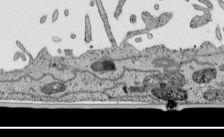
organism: Human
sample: Mitochondria in HCT116 cells